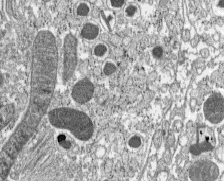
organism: C57BL Mouse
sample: Pancreatic islet